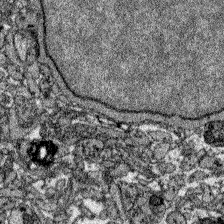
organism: Zebrafish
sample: Larval olfactory bulb